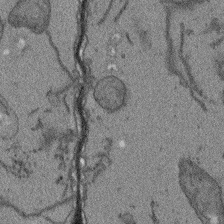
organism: Arabidopsis thaliana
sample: Root tip